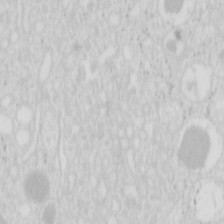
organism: Mouse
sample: Pancreas